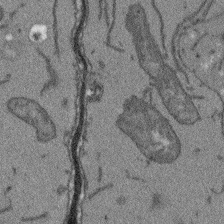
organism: Arabidopsis thaliana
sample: Root tip